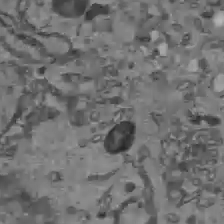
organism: C57BL Mouse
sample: Liver